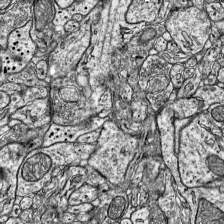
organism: Mouse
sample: Visual Cortex